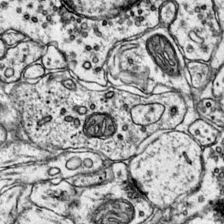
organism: Mouse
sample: Primary visual cortex